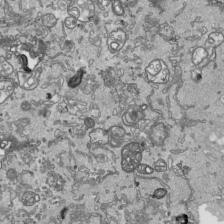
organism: Human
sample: Mitochondria in HCT116 cells